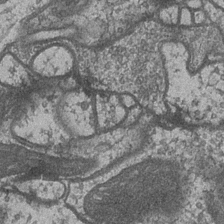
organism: Drosophila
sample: Optic medulla